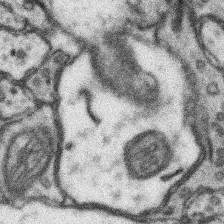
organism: Mouse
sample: Somatosensory cortex neuropil